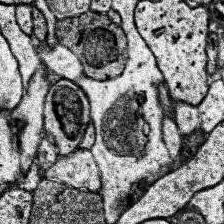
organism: Human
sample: Temporal Lobe